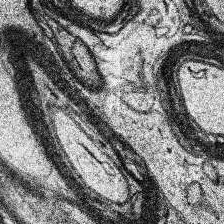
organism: Human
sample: Temporal Lobe